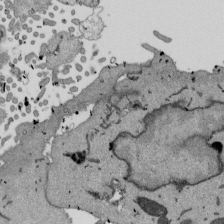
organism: Mouse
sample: ED-1 cell nuclei; centrioles